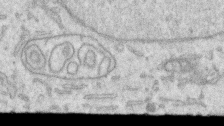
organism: Human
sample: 1205lu cells